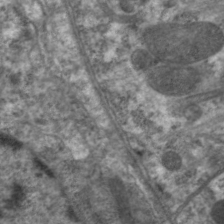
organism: C. elegans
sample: Pharynx